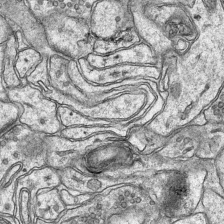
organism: Mouse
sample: CA1 Hippocampus